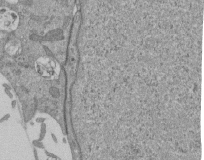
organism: Mouse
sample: ED-1 cell nuclei; centrioles